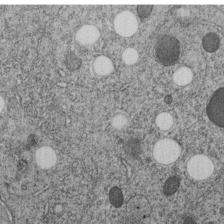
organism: C. elegans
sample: C. elegans embryo early stage